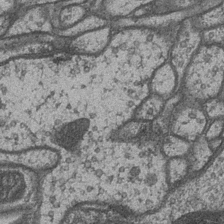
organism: Drosophila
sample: Optic medulla